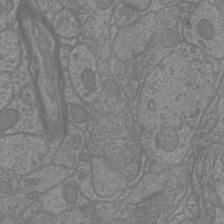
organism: Mouse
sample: Cortical neurons